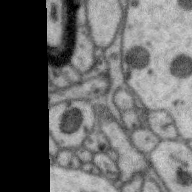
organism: Zebra finch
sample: Brain